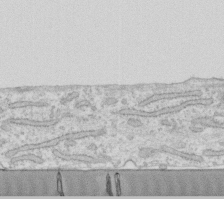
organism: Human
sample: Fibroblast cells